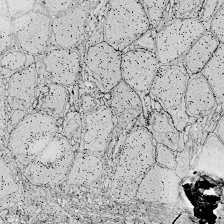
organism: Zebrafish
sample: Whole-Brain